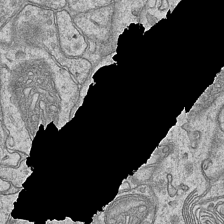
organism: Mouse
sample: CA1 Hippocampus